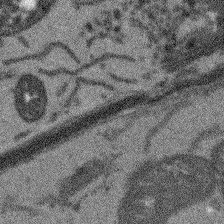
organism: Arabidopsis thaliana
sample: Root tip